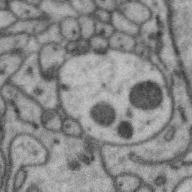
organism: Zebra finch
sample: Brain